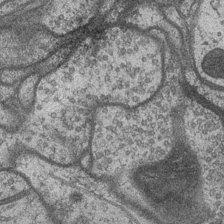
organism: Drosophila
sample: Optic medulla